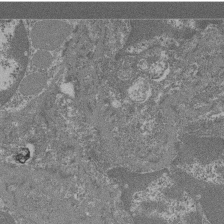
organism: Mouse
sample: Glomerulus